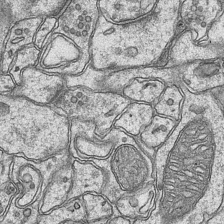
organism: Mouse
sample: CA1 Hippocampus